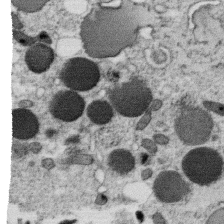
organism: C. elegans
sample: C. elegans oocyte; sperm cells